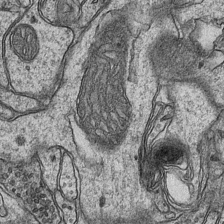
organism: Mouse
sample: CA1 Hippocampus